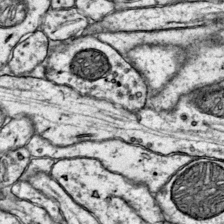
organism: Mouse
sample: Primary visual cortex